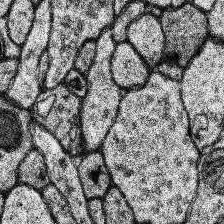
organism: Human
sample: Temporal Lobe